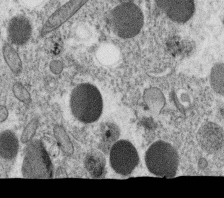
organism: C. elegans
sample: C. elegans oocyte; sperm cells